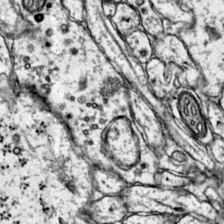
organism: Mouse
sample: Primary visual cortex